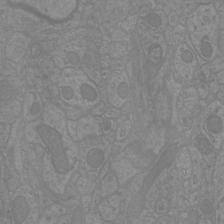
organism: Mouse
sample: Cortical neurons